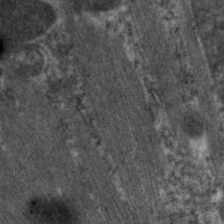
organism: C. elegans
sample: Pharynx